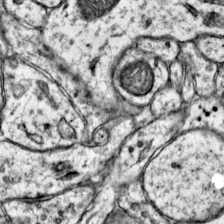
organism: Mouse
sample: Primary visual cortex